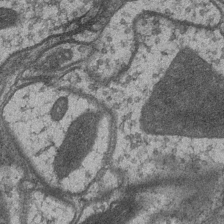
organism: Drosophila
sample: Optic medulla